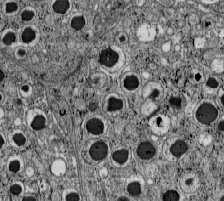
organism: C57BL Mouse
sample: Pancreatic islet